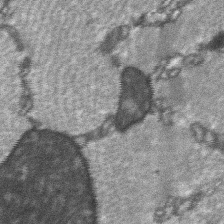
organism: C57BL Mouse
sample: Soleus